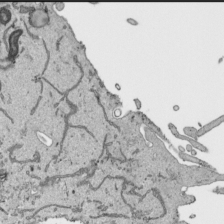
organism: Human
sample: Mitochondria in HCT116 cells